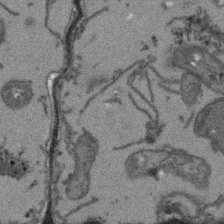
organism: Arabidopsis thaliana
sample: Root tip